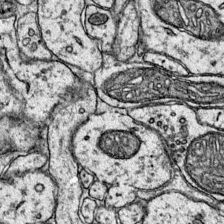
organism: Mouse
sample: Primary visual cortex